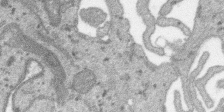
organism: Human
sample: Lung epithelial cells infected with SARS-CoV-2